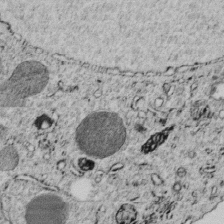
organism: C. elegans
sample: C. elegans embryo early stage